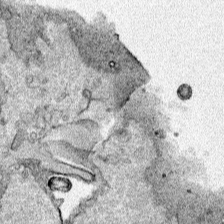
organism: Human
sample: Mitochondria in HCT116 cells